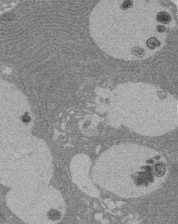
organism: Rat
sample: Salivary granule